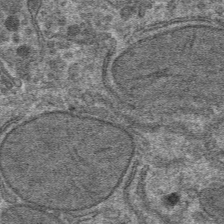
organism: Mouse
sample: Mouse hepatocytes